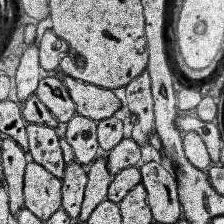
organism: Human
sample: Temporal Lobe